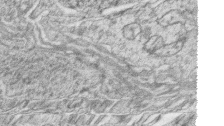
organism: Zebrafish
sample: synaptic ribbons in rod cells and cone cells